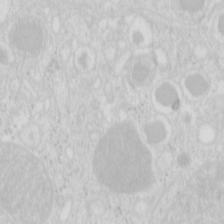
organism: Mouse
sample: Pancreas